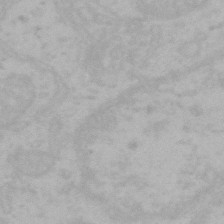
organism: Mouse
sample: Choroid plexus